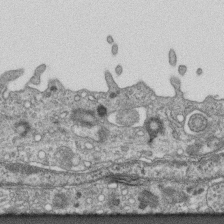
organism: Mouse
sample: Centriole in ependymal cells